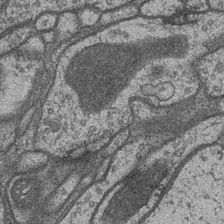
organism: Drosophila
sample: Optic medulla